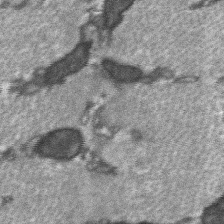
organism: C57BL Mouse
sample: Soleus